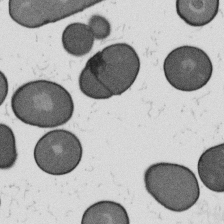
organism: B. subtilis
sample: Bacterial spore